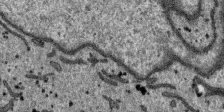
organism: Human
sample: Lung epithelial cells, uninfected (mock) control